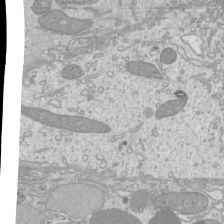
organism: Mouse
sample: Cilia; mouse epididymis